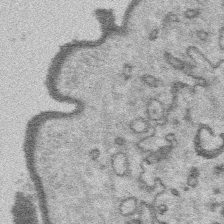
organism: Platynereis dumerilii